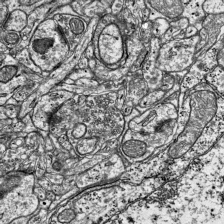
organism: Mouse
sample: Visual Cortex